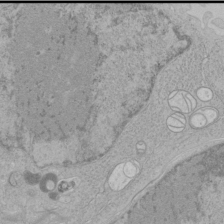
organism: Human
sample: Mitochondria in HCT116 cells